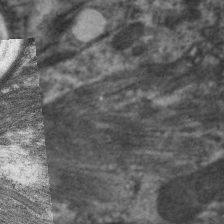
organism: C. elegans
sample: Pharynx